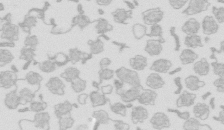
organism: Mouse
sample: Multiciliated cells